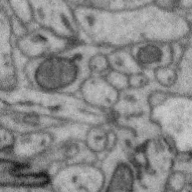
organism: Zebra finch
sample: Brain